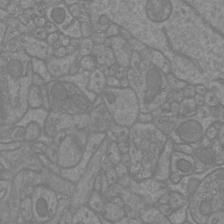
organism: Mouse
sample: Cortical neurons